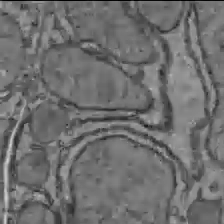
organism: C57BL Mouse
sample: Liver